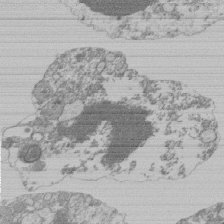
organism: Mouse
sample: Activated Pmel transgenic CD8+ T Cells